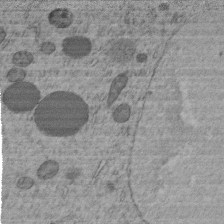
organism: C. elegans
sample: C. elegans embryo early stage